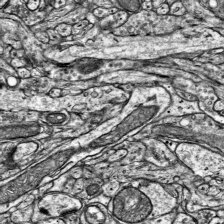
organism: Mouse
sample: Visual Cortex